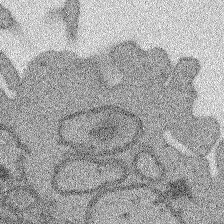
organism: Human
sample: HeLa cells